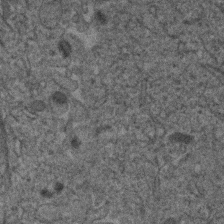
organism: Human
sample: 1205lu cells